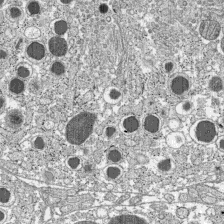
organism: C57BL Mouse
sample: Pancreatic islet